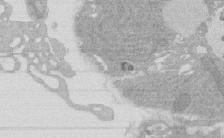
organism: Rat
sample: Salivary granule